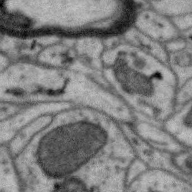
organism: Zebra finch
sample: Brain